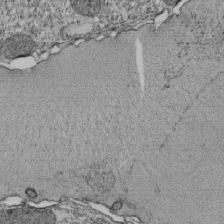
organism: Tetrahymena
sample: Cilia in tetrahymena